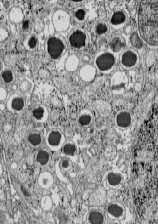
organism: C57BL Mouse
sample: Pancreatic islet